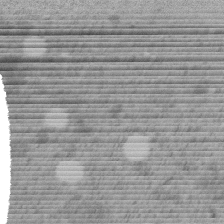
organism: C. elegans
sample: C. elegans embryo early stage